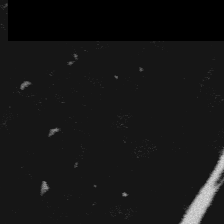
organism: Platynereis dumerilii